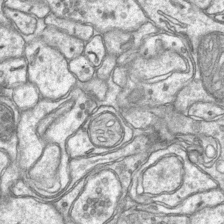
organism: Mouse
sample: CA1 Hippocampus